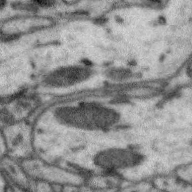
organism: Zebra finch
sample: Brain